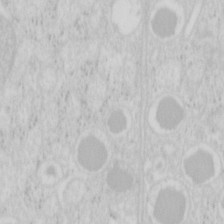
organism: Mouse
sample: Pancreas